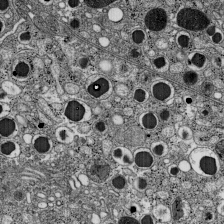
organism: C57BL Mouse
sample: Pancreatic islet